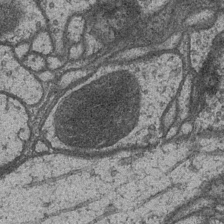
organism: Drosophila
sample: Optic medulla